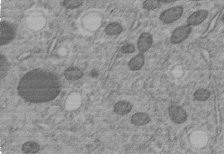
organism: C. elegans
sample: C. elegans embryo early stage